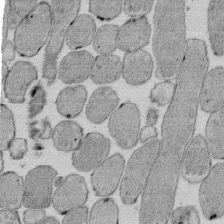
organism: E. coli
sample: Bacterial nucleoid